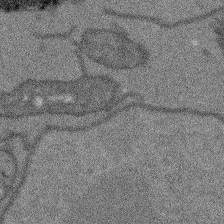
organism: Arabidopsis thaliana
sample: Root tip